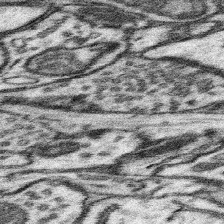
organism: Mouse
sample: Somatosensory cortex neuropil